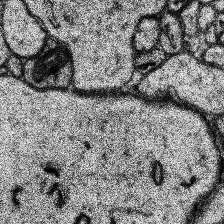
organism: Human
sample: Temporal Lobe